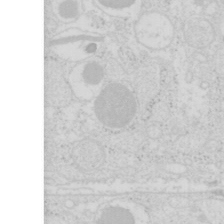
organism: Mouse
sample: Pancreas